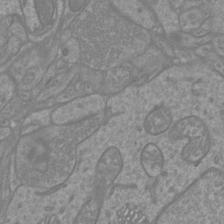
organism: Mouse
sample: Cortical neurons